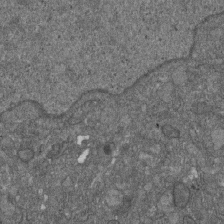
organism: Drosophila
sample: Nephrocyte